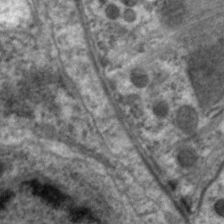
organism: C. elegans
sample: Pharynx